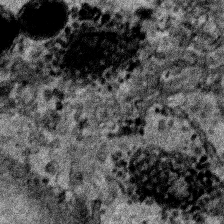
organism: Human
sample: Mitochondria in HCT116 cells